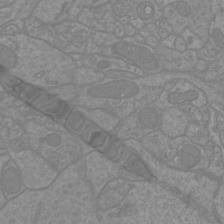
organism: Mouse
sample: Cortical neurons